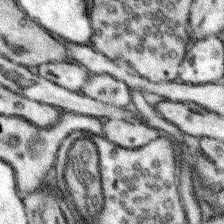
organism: Mouse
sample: Somatosensory cortex neuropil